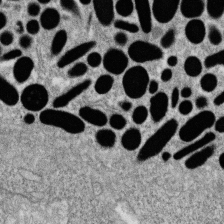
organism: Zebrafish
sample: Cilia; retinal pigment epithelium